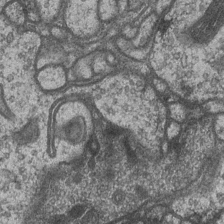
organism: Drosophila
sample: Optic medulla